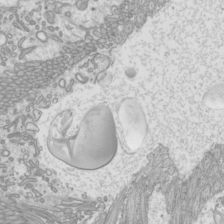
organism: Mouse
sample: Cilia; mouse epididymis